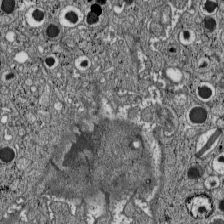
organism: C57BL Mouse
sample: Pancreatic islet